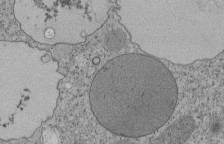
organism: Tetrahymena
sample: Cilia in tetrahymena